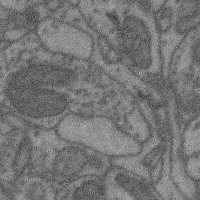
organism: Mouse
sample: Cerebral cortex